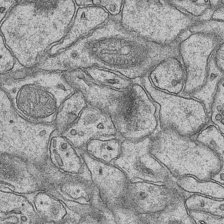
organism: Mouse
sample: CA1 Hippocampus